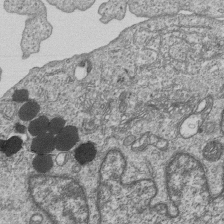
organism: Human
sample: MDA-MB-231 cells